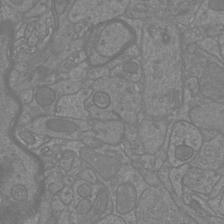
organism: Mouse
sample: Cortical neurons